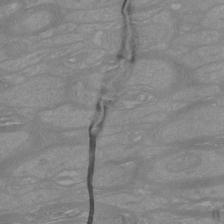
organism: Mouse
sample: Cortical neurons